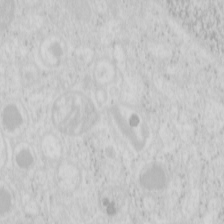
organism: Mouse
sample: Pancreas